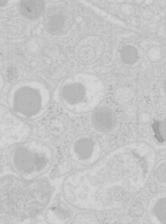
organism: Mouse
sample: Pancreas